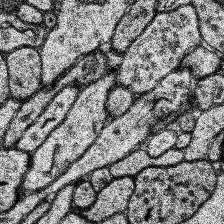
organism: Human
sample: Temporal Lobe